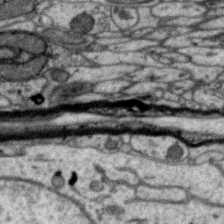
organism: Zebra finch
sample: Brain